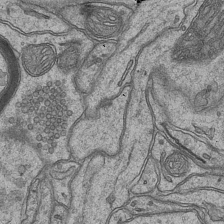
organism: Mouse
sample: CA1 Hippocampus